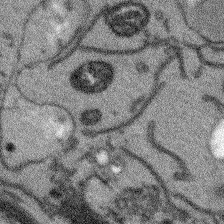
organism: Arabidopsis thaliana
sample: Root tip